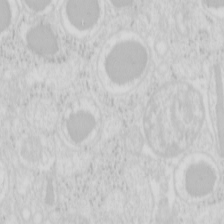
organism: Mouse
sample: Pancreas